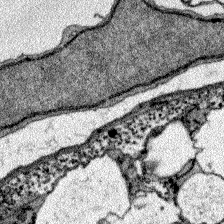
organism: Zebrafish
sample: Larval olfactory bulb